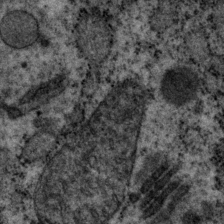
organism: P. pacificus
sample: Pharynx